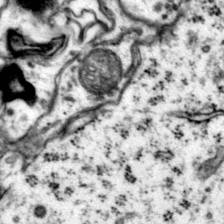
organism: Mouse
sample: Primary visual cortex